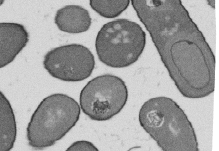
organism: B. subtilis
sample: Bacterial spore